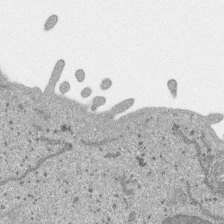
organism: Human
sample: Lung epithelial cells infected with SARS-CoV-2